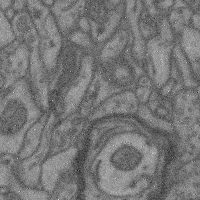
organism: Mouse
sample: Cerebral cortex